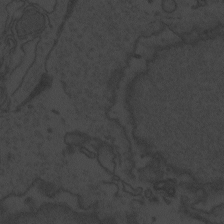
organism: Zebrafish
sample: Macrophage infected with Toxoplasma gondii